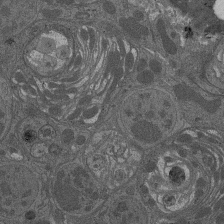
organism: Drosophila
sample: Antenna